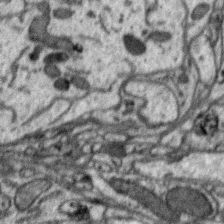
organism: Zebra finch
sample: Brain